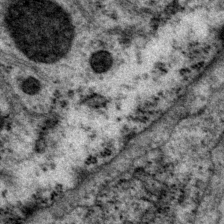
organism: P. pacificus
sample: Pharynx